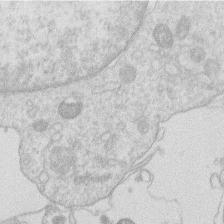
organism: Human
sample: Macrophage cells